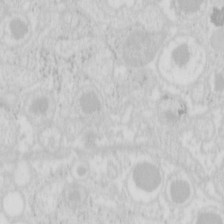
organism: Mouse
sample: Pancreas